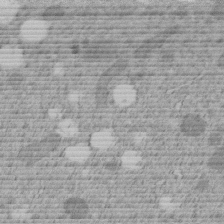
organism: C. elegans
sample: C. elegans embryo early stage